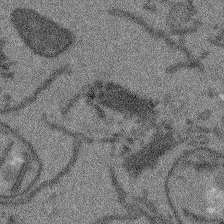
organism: Arabidopsis thaliana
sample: Root tip